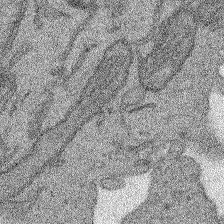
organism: Human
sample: HeLa cells